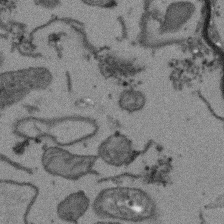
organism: Arabidopsis thaliana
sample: Root tip